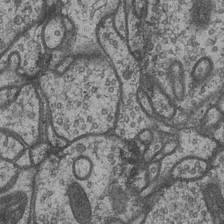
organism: Drosophila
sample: Optic medulla